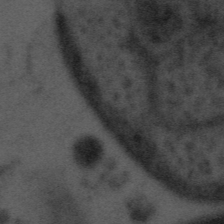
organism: Tuwongella immobilis